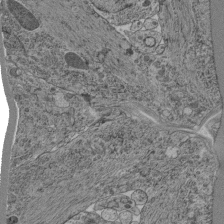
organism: C. elegans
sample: C. elegans pharynx